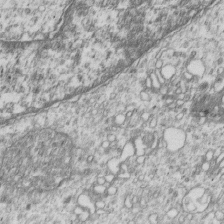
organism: Human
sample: MDA-MB-231 cells